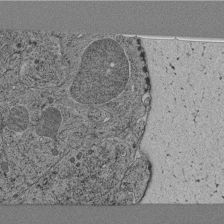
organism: C. elegans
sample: C. elegans pharynx